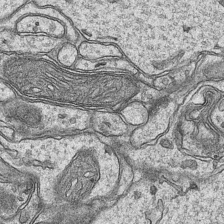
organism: Mouse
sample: CA1 Hippocampus